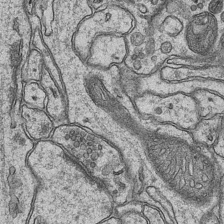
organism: Mouse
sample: CA1 Hippocampus